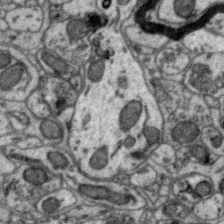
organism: Zebra finch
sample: Brain